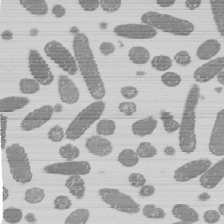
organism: E. coli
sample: Bacterial nucleoid